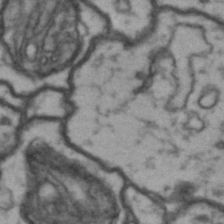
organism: Drosophila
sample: Brain